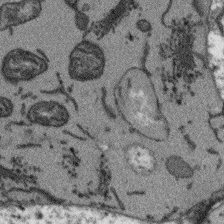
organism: Arabidopsis thaliana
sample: Root tip